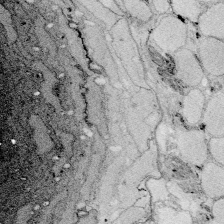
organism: Zebrafish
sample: Whole-Brain